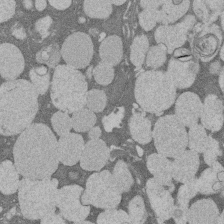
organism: Rat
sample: Salivary granule